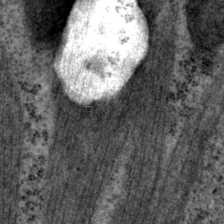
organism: P. pacificus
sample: Pharynx